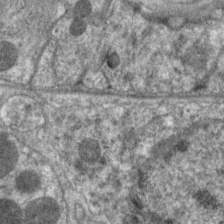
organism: C. elegans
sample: Pharynx